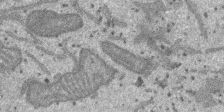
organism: Human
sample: Lung epithelial cells infected with SARS-CoV-2